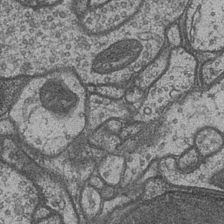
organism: Drosophila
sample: Optic medulla